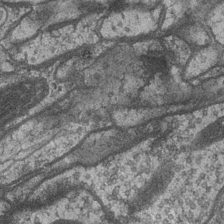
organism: Drosophila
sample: Optic medulla